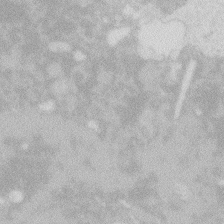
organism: Zebrafish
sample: Macrophage